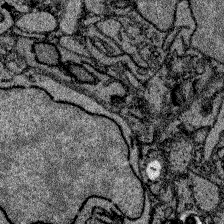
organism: Zebrafish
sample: Larval olfactory bulb